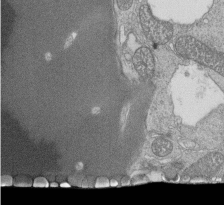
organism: Tetrahymena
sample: Cilia in tetrahymena